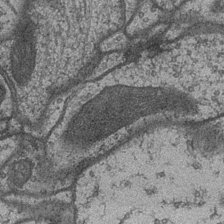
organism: Drosophila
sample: Optic medulla